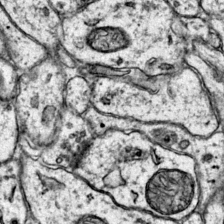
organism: Mouse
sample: Primary visual cortex